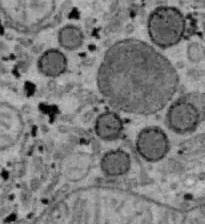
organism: Mouse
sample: Liver from an obese (ob/ob) mouse